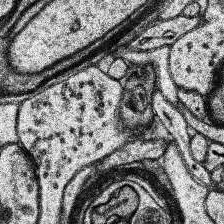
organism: Human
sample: Temporal Lobe